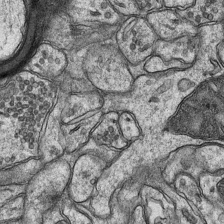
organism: Mouse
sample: CA1 Hippocampus